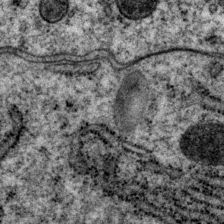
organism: P. pacificus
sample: Pharynx